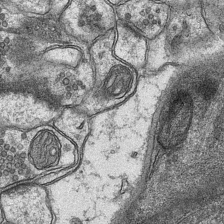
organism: Mouse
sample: CA1 Hippocampus